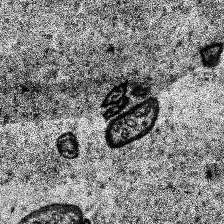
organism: Human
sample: Temporal Lobe